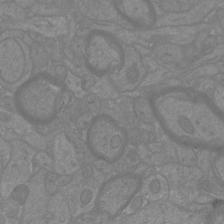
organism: Mouse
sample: Cortical neurons